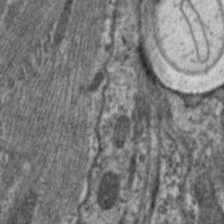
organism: C. elegans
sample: Pharynx